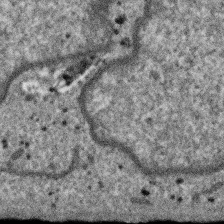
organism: Human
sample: Lung epithelial cells infected with SARS-CoV-2